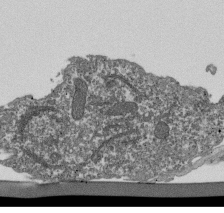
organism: Dictyostelium discoideum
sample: Dictyostelium multivesicular bodies